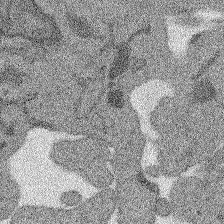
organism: Human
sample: HeLa cells